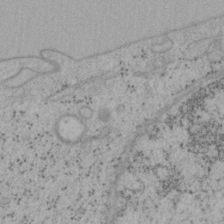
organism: Human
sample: HeLa cells